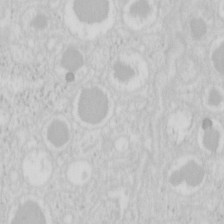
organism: Mouse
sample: Pancreas